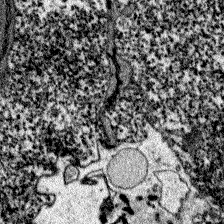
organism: Zebrafish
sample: Larval olfactory bulb